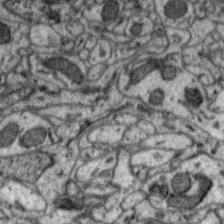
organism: Zebra finch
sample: Brain